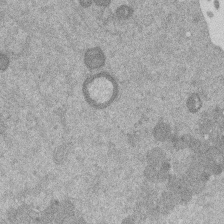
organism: Mouse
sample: Dividing mouse embryo 1 cell stage